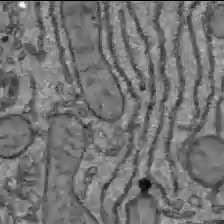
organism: C57BL Mouse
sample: Liver